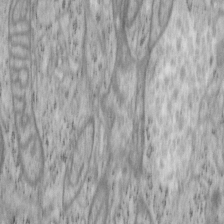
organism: Human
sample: HeLa cells